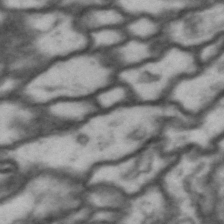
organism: Drosophila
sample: Brain